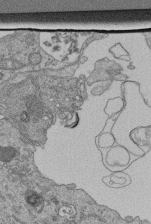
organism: Human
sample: Retinal organoid Rod and Cone cells